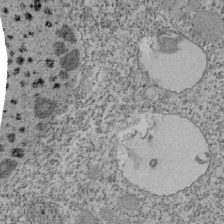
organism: Tetrahymena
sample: Cilia in tetrahymena